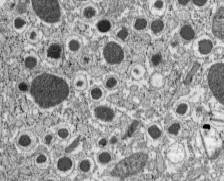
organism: C57BL Mouse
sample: Pancreatic islet